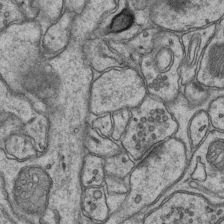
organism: Mouse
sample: CA1 Hippocampus